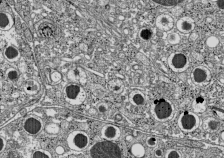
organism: C57BL Mouse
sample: Pancreatic islet